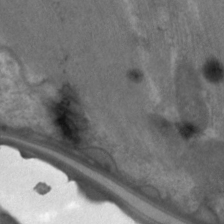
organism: C. elegans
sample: Pharynx